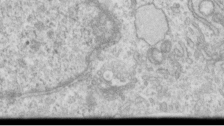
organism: Human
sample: Centriole in RPE cells